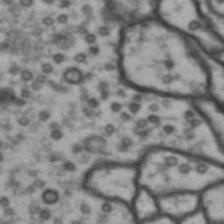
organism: Drosophila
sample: Brain